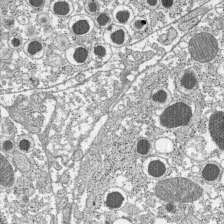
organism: C57BL Mouse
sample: Pancreatic islet